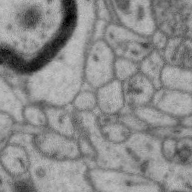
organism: Zebra finch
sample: Brain